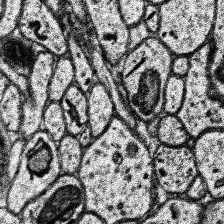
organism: Human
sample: Temporal Lobe